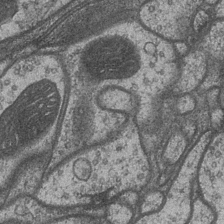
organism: Drosophila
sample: Optic medulla